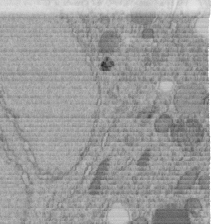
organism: C. elegans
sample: C. elegans embryo early stage